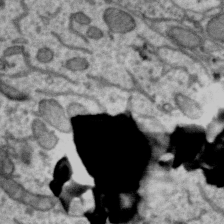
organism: Zebra finch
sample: Brain